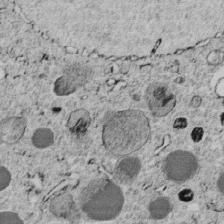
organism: C. elegans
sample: C. elegans embryo early stage